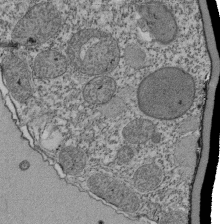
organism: Tetrahymena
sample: Cilia in tetrahymena